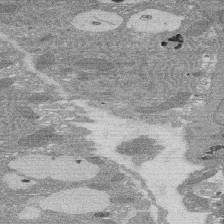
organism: Rat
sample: Salivary granule